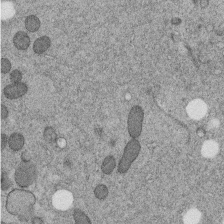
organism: C. elegans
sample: C. elegans embryo early stage